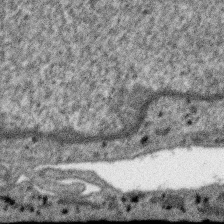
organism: Human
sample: Lung epithelial cells infected with SARS-CoV-2